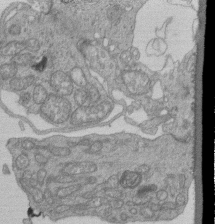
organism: Human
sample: Retinal organoid Rod and Cone cells